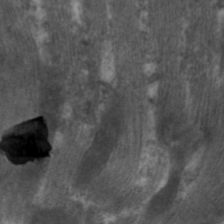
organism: C. elegans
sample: Pharynx